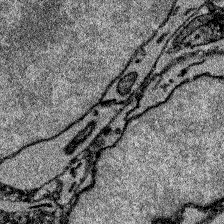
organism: Zebrafish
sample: Larval olfactory bulb